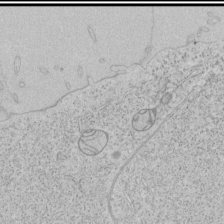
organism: Human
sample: Mitochondria in HCT116 cells